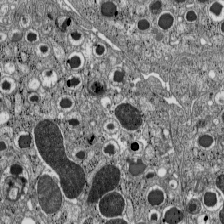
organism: C57BL Mouse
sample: Pancreatic islet